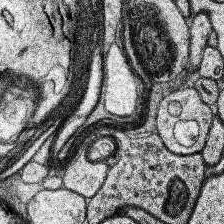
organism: Human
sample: Temporal Lobe